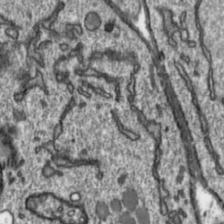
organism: Toxoplasma gondii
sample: Parasites in a vacuole inside a host cell